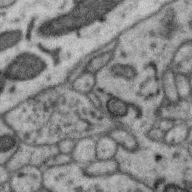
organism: Zebra finch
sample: Brain